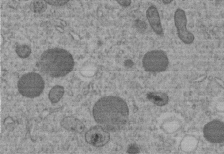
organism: C. elegans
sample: C. elegans embryo early stage